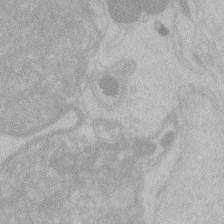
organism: Zebrafish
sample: Macrophage infected with Toxoplasma gondii